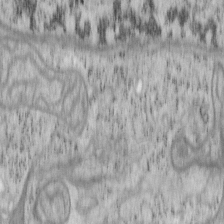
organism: Human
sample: HeLa cells